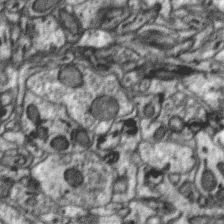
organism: Zebra finch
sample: Brain